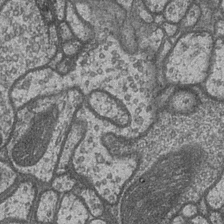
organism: Drosophila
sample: Optic medulla